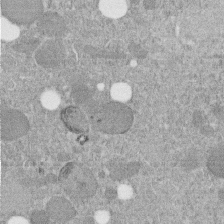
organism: C. elegans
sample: C. elegans embryo early stage